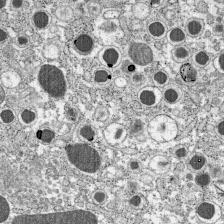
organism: C57BL Mouse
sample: Pancreatic islet